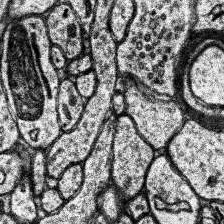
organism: Human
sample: Temporal Lobe